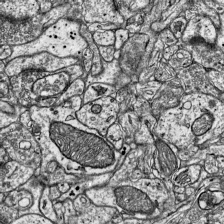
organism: Mouse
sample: Visual Cortex